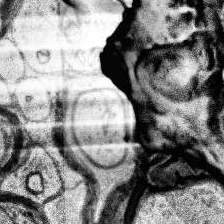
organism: Human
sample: Temporal Lobe